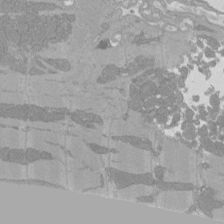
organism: Rat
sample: Left ventricle